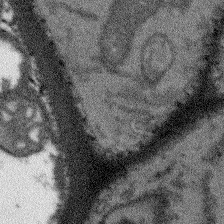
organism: Arabidopsis thaliana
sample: Root tip